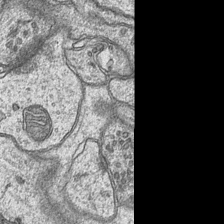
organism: Mouse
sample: CA1 Hippocampus